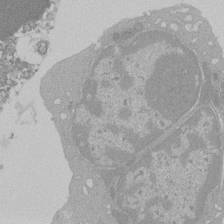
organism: Mouse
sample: Activated Pmel transgenic CD8+ T Cells